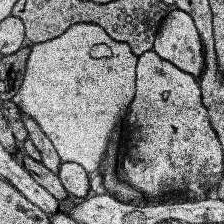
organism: Human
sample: Temporal Lobe